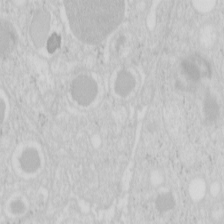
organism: Mouse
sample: Pancreas